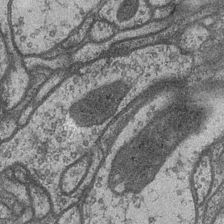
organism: Drosophila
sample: Optic medulla